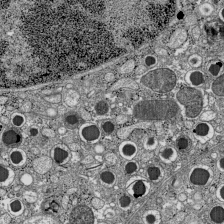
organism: C57BL Mouse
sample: Pancreatic islet